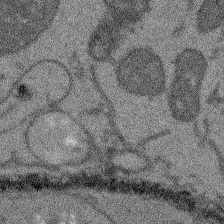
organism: Arabidopsis thaliana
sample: Root tip